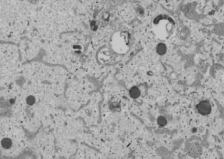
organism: Human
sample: Mitochondria in U2OS cells